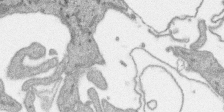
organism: Human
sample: Lung epithelial cells infected with SARS-CoV-2